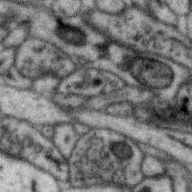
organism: Zebra finch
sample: Brain